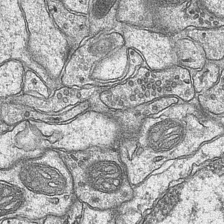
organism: Mouse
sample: CA1 Hippocampus